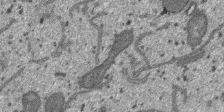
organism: Human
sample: Lung epithelial cells infected with SARS-CoV-2